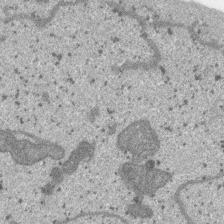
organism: Human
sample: Lung epithelial cells infected with SARS-CoV-2